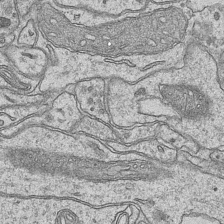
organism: Mouse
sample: CA1 Hippocampus